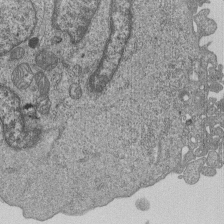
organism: Human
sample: MDA-MB-231 cells